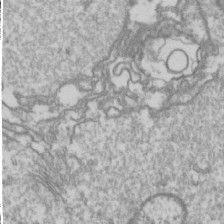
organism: Drosophila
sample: Cell division; meiosis; drosophila spermatocytes